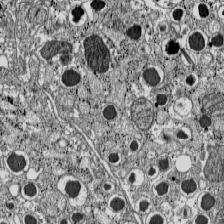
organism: C57BL Mouse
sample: Pancreatic islet